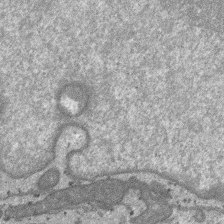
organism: Human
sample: Lung epithelial cells infected with SARS-CoV-2